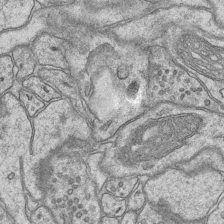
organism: Mouse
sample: CA1 Hippocampus